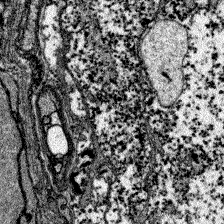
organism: Zebrafish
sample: Larval olfactory bulb